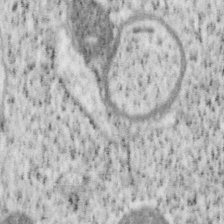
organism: Mouse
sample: OT-I killer T cells with ID8 ovarian cancer cells